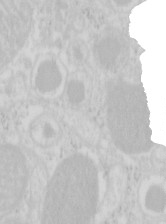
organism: Mouse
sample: Pancreas